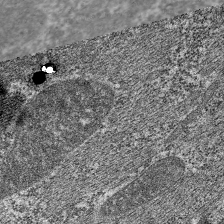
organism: C. elegans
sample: Pharynx